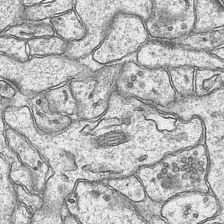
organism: Mouse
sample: CA1 Hippocampus